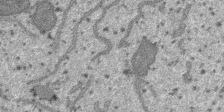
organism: Human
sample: Lung epithelial cells infected with SARS-CoV-2